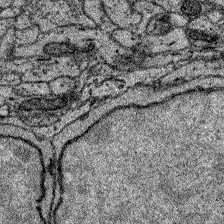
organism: Zebrafish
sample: Larval olfactory bulb